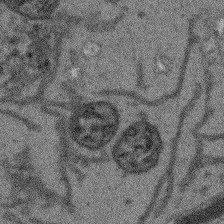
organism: Arabidopsis thaliana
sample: Root tip